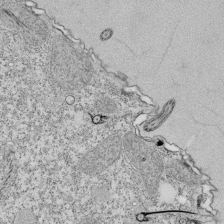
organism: Tetrahymena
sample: Cilia in tetrahymena